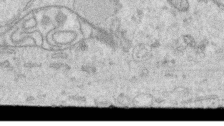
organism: Human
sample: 1205lu cells